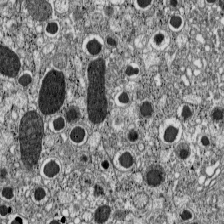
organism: C57BL Mouse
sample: Pancreatic islet